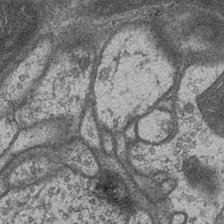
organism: Drosophila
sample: Optic medulla